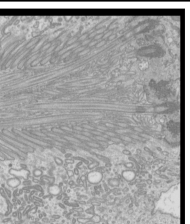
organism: Mouse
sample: Cilia; mouse epididymis